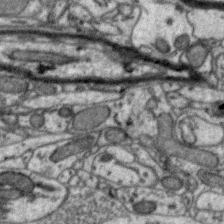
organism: Zebra finch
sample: Brain